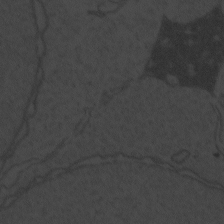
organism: Zebrafish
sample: Macrophage infected with Toxoplasma gondii